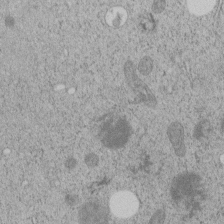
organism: C. elegans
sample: C. elegans embryo early stage